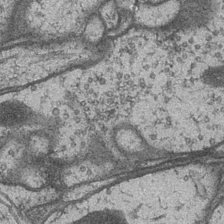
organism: Drosophila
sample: Optic medulla